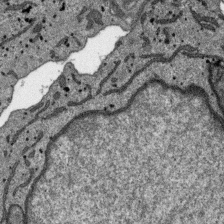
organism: Human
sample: Lung epithelial cells, uninfected (mock) control